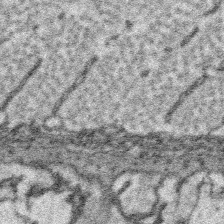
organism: Platynereis dumerilii